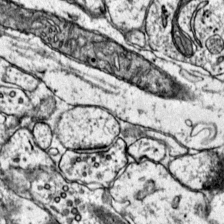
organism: Mouse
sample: Primary visual cortex